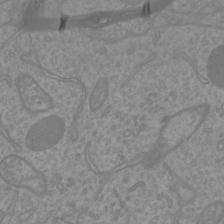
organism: Mouse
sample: Cortical neurons